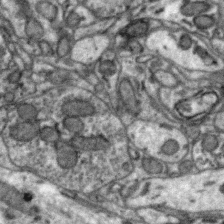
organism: Zebra finch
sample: Brain